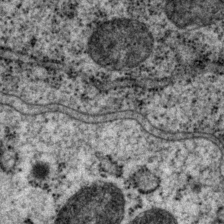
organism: P. pacificus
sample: Pharynx